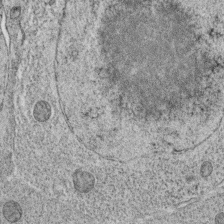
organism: C. elegans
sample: C. elegans oocyte; sperm cells